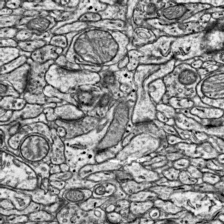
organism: Mouse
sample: Visual Cortex